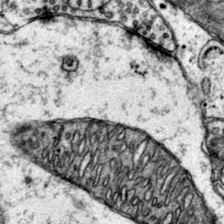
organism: Mouse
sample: Primary visual cortex